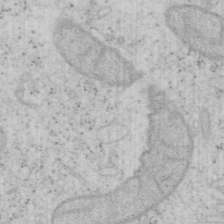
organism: Human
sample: HeLa cells